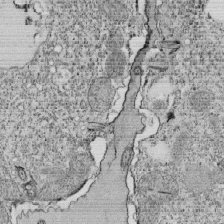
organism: Tetrahymena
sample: Cilia in tetrahymena